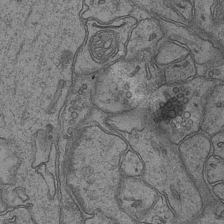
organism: Mouse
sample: CA1 Hippocampus